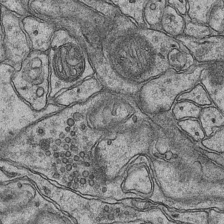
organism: Mouse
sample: CA1 Hippocampus